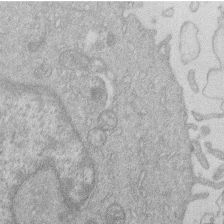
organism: Human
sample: Macrophage cells